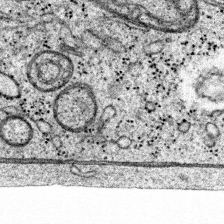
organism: Human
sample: HeLa cells